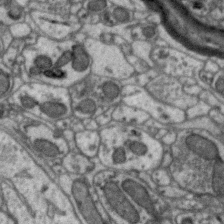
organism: Zebra finch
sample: Brain